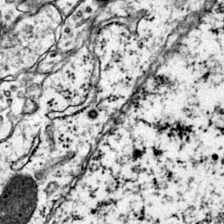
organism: Mouse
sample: Primary visual cortex